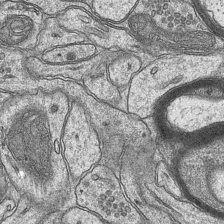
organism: Mouse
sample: CA1 Hippocampus